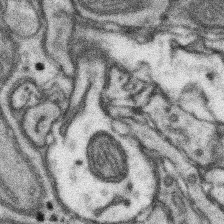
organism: Mouse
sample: Somatosensory cortex neuropil